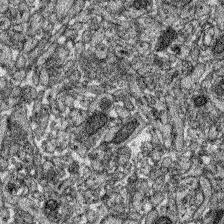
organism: Zebrafish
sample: Larval olfactory bulb